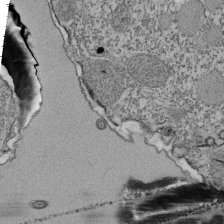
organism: Tetrahymena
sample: Cilia in tetrahymena